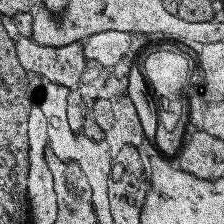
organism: Human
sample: Temporal Lobe